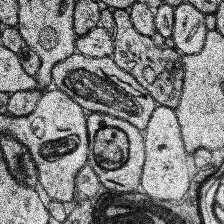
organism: Human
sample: Temporal Lobe